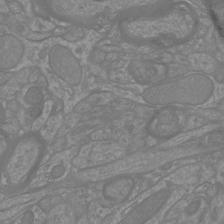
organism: Mouse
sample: Cortical neurons